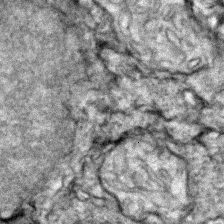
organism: Zebrafish